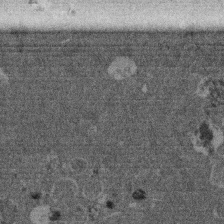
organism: Mouse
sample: Dividing mouse embryo 1 cell stage